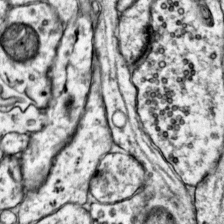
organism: Mouse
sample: Primary visual cortex